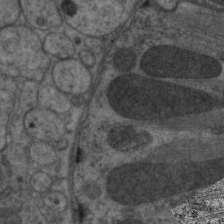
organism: C. elegans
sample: Pharynx